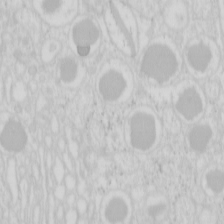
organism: Mouse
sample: Pancreas